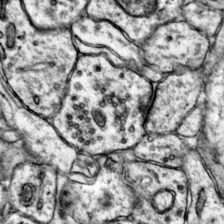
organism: Mouse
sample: Primary visual cortex